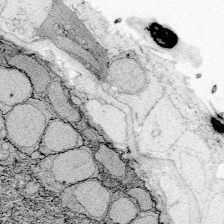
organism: Zebrafish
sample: Whole-Brain